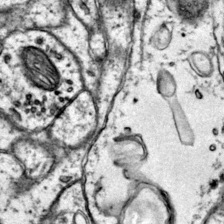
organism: Mouse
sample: Primary visual cortex